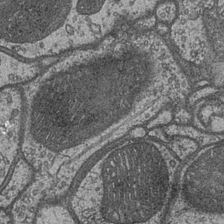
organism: Drosophila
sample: Optic medulla